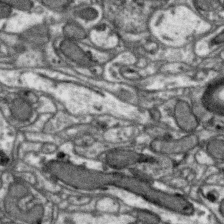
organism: Zebra finch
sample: Brain